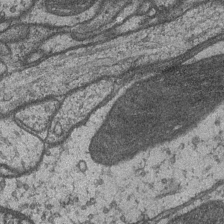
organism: Drosophila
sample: Optic medulla